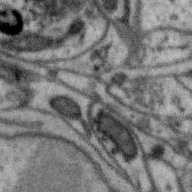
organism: Zebra finch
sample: Brain